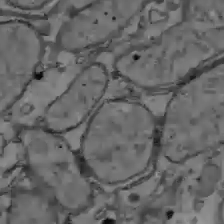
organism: C57BL Mouse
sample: Liver